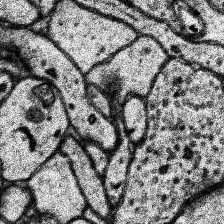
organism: Human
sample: Temporal Lobe